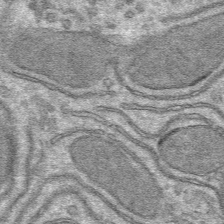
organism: Mouse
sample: Mouse hepatocytes